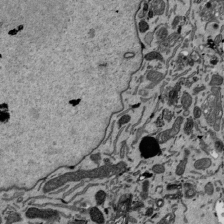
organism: Mouse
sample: ED-1 cell nuclei; centrioles